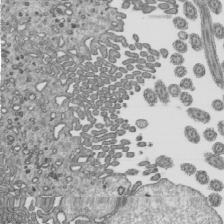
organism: Mouse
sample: Mouse epididymis efferent ductule cilia